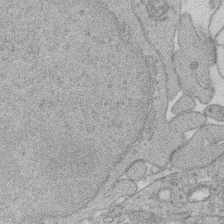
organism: Rat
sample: Salivary granule